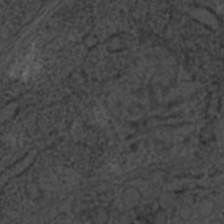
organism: C. elegans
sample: C. elegans embryo